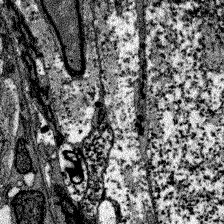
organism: Zebrafish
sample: Larval olfactory bulb